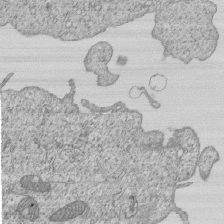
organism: Human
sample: MDA-MB-231 cells